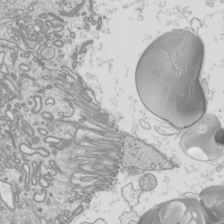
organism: Mouse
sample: Cilia; mouse epididymis